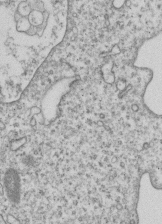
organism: Human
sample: MDA-MB-231 cells